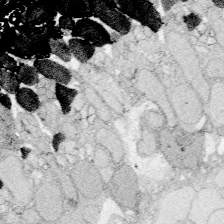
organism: Zebrafish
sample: Whole-Brain